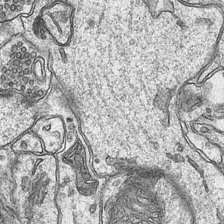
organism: Mouse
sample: CA1 Hippocampus